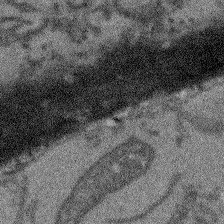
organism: Arabidopsis thaliana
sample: Root tip